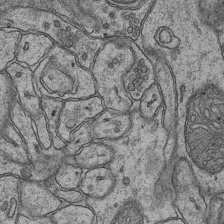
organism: Mouse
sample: CA1 Hippocampus